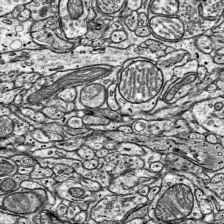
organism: Mouse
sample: Visual Cortex